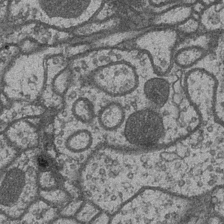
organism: Drosophila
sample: Optic medulla